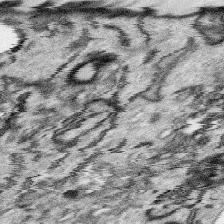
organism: Human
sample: HeLa cells